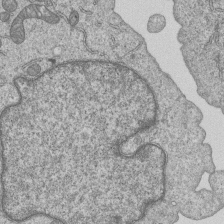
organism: Human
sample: MDA-MB-231 cells